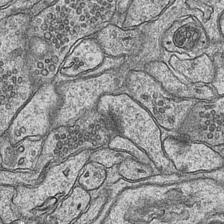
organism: Mouse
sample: CA1 Hippocampus